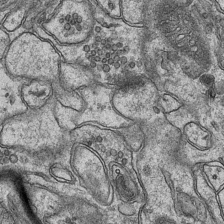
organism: Mouse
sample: CA1 Hippocampus